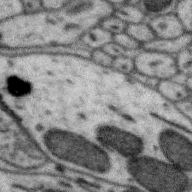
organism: Zebra finch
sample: Brain